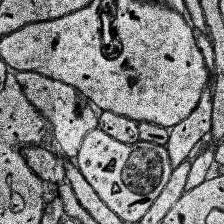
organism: Human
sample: Temporal Lobe